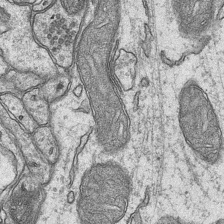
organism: Mouse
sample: CA1 Hippocampus